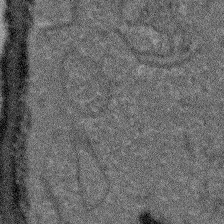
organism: Arabidopsis thaliana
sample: Root tip